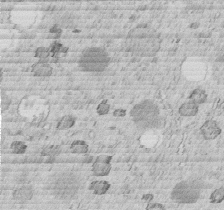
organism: C. elegans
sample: C. elegans embryo early stage